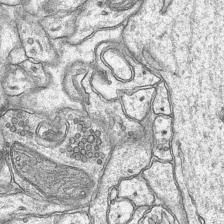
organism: Mouse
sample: CA1 Hippocampus